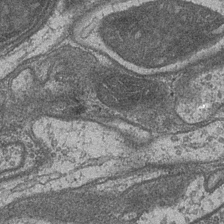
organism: Drosophila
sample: Optic medulla